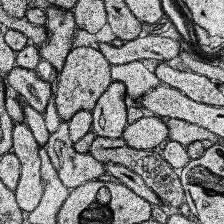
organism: Human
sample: Temporal Lobe